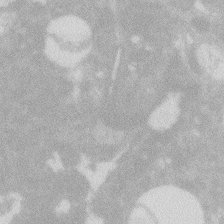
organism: Zebrafish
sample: Macrophage